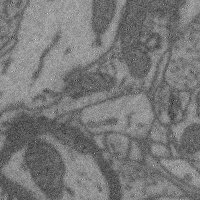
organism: Mouse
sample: Cerebral cortex